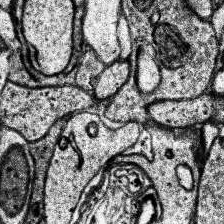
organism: Human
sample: Temporal Lobe